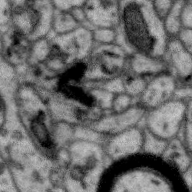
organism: Zebra finch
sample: Brain